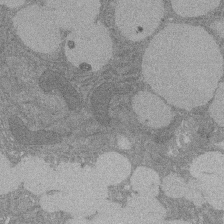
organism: Rat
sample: Salivary granule